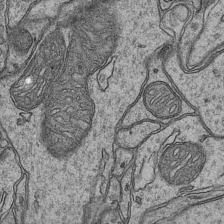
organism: Mouse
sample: CA1 Hippocampus